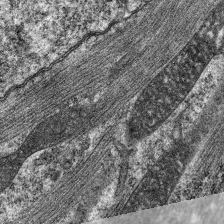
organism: C. elegans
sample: Pharynx